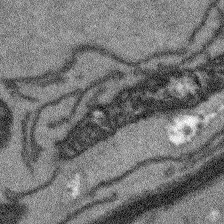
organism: Arabidopsis thaliana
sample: Root tip